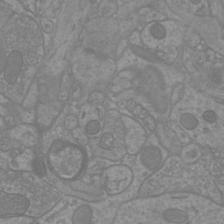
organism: Mouse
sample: Cortical neurons